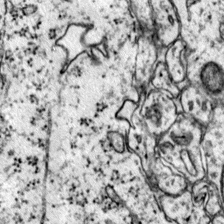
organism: Mouse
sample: Primary visual cortex